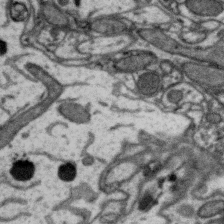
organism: Zebra finch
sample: Brain